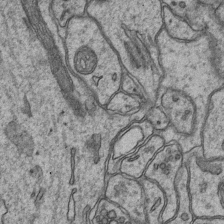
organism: Mouse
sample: CA1 Hippocampus